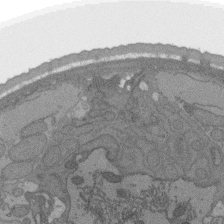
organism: C. elegans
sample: AFD neurons C. elegans